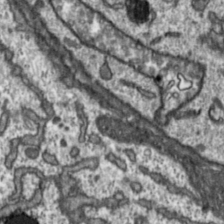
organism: Toxoplasma gondii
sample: Parasites in a vacuole inside a host cell